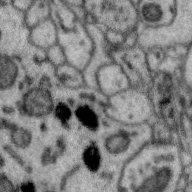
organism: Zebra finch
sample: Brain